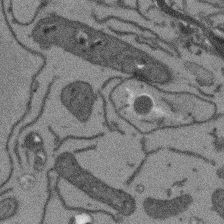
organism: Arabidopsis thaliana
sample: Root tip